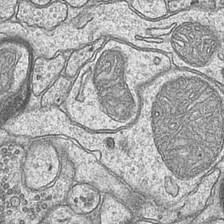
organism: Mouse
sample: CA1 Hippocampus